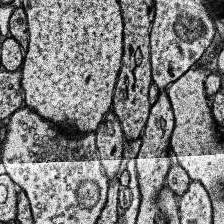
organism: Human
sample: Temporal Lobe